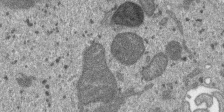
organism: Human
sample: Lung epithelial cells infected with SARS-CoV-2